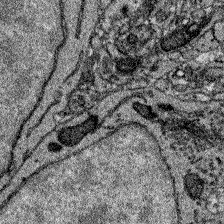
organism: Zebrafish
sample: Larval olfactory bulb